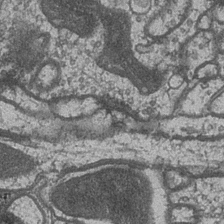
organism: Drosophila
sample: Optic medulla